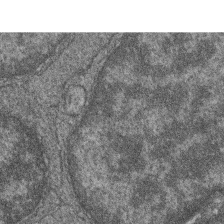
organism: Zebrafish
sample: Cilia; retinal pigment epithelium